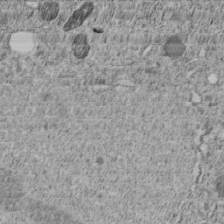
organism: C. elegans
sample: C. elegans embryo early stage